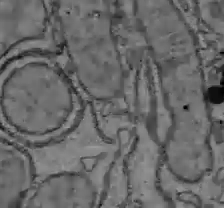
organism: C57BL Mouse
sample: Liver